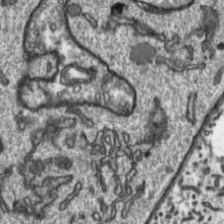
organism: Toxoplasma gondii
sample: Parasites in a vacuole inside a host cell